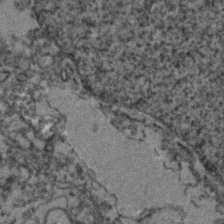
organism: Zebrafish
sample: Zebrafish embryo